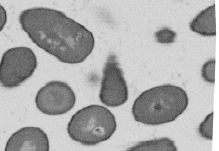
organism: B. subtilis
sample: Bacterial spore